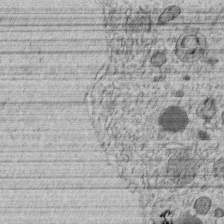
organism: C. elegans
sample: C. elegans embryo early stage